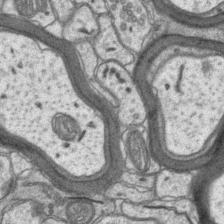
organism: Mouse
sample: CA1 Hippocampus